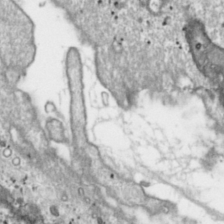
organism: Toxoplasma gondii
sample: Parasites in a vacuole inside a host cell